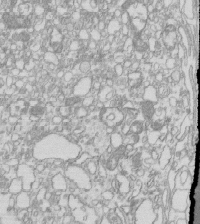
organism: Mouse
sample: Macrophages